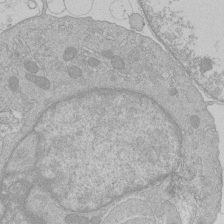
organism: Human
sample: Macrophage cells